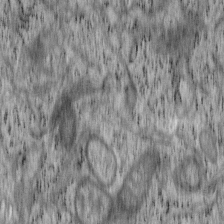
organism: Human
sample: HeLa cells